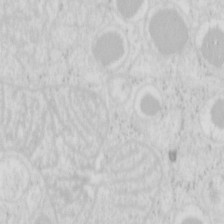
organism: Mouse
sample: Pancreas